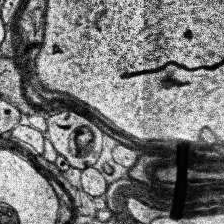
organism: Human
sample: Temporal Lobe